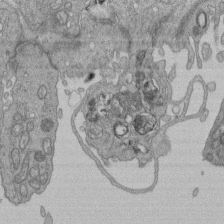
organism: Human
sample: Retinal organoid Rod and Cone cells